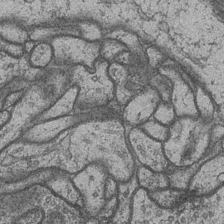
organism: Drosophila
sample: Optic medulla